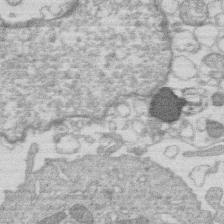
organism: Human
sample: Macrophage cells